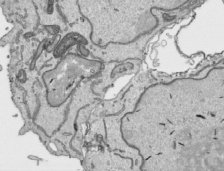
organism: Human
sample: Mitochondria in HCT116 cells